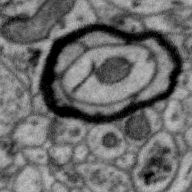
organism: Zebra finch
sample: Brain